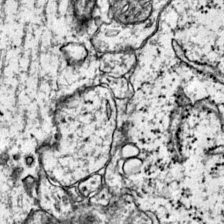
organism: Mouse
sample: Primary visual cortex